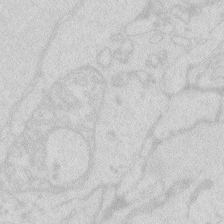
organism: Zebrafish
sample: Macrophage